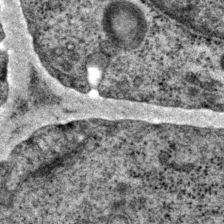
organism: P. pacificus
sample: Pharynx